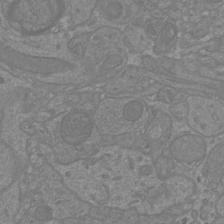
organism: Mouse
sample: Cortical neurons